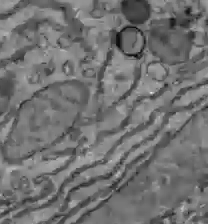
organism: C57BL Mouse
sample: Liver